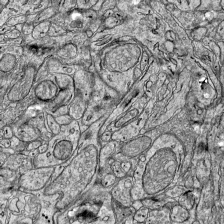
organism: Mouse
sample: Visual Cortex